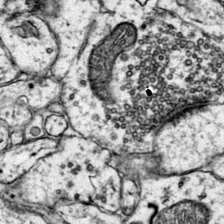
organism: Mouse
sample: Primary visual cortex